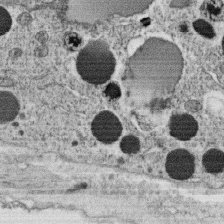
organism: C. elegans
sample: C. elegans oocyte; sperm cells